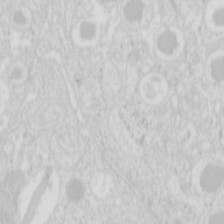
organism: Mouse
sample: Pancreas